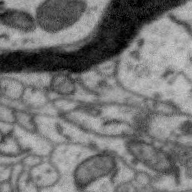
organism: Zebra finch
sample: Brain